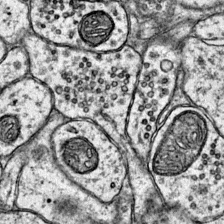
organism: Mouse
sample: Primary visual cortex